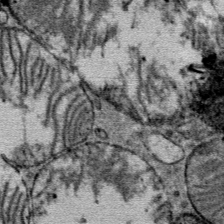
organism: Mouse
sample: Mouse Salivary gland